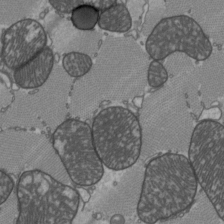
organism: C57BL Mouse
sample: Heart